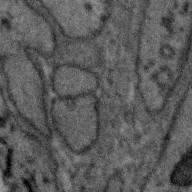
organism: Zebra finch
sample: Brain